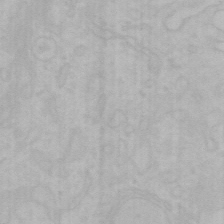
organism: Mouse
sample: Choroid plexus